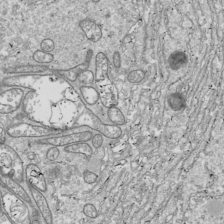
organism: Drosophila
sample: Cell division; meiosis; drosophila spermatocytes